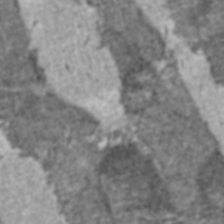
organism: C57BL Mouse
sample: Heart